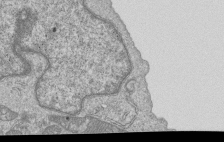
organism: Human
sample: MDA-MB-231 cells